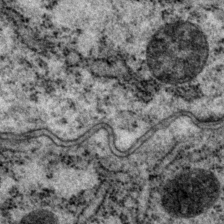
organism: P. pacificus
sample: Pharynx